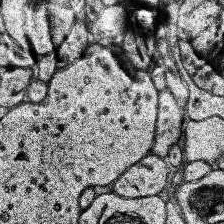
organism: Human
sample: Temporal Lobe